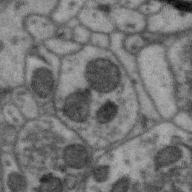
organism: Zebra finch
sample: Brain